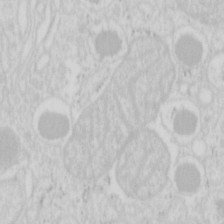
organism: Mouse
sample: Pancreas